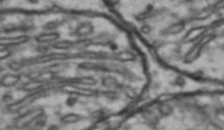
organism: Drosophila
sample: Brain